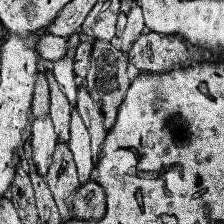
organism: Human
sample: Temporal Lobe